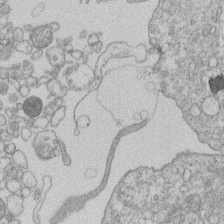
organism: Human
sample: Macrophage cells